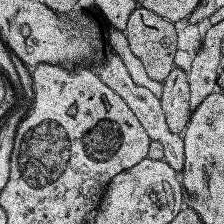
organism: Human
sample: Temporal Lobe